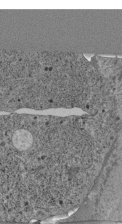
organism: C. elegans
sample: C. elegans pharynx